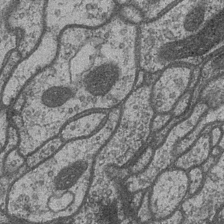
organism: Drosophila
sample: Optic medulla